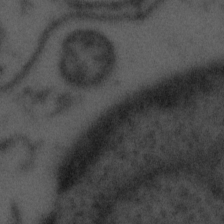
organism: Tuwongella immobilis